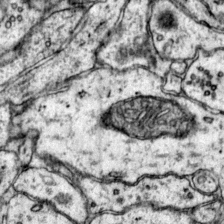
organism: Mouse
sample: Primary visual cortex